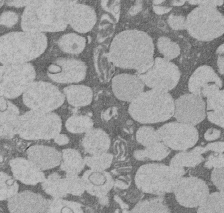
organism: Rat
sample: Salivary granule